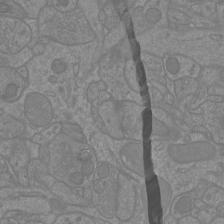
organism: Mouse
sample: Cortical neurons